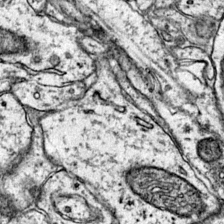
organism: Mouse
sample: Primary visual cortex